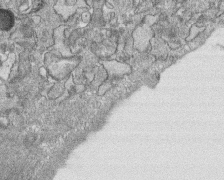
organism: Human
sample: CRL-1474